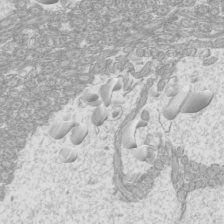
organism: Mouse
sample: Cilia; mouse epididymis